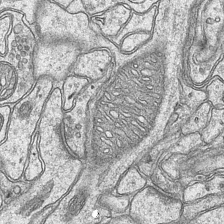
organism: Mouse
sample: CA1 Hippocampus